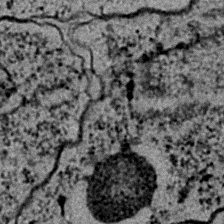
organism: C. elegans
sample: C. elegans embryo